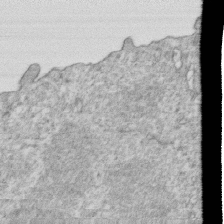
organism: Mouse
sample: Activated OT-1 CD8+ T cells